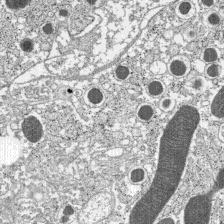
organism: C57BL Mouse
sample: Pancreatic islet